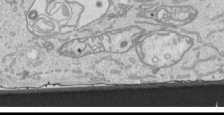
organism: Human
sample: Mitochondria in HCT116 cells